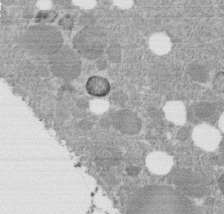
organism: C. elegans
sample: C. elegans embryo early stage